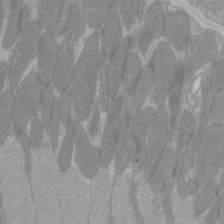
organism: C57BL Mouse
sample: Tibialis anterior muscle cell